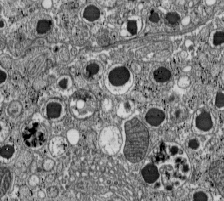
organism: C57BL Mouse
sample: Pancreatic islet